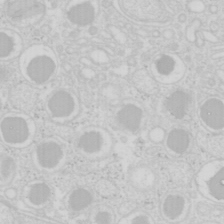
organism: Mouse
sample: Pancreas